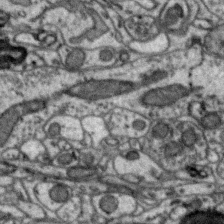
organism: Zebra finch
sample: Brain